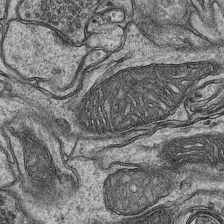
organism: Mouse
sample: CA1 Hippocampus